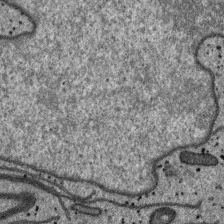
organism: Human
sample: Lung epithelial cells, uninfected (mock) control